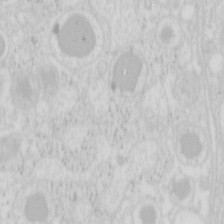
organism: Mouse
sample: Pancreas